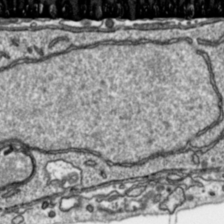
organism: Toxoplasma gondii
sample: Parasites in a vacuole inside a host cell